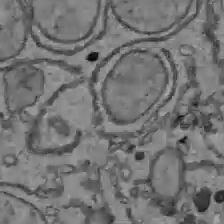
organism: C57BL Mouse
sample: Liver